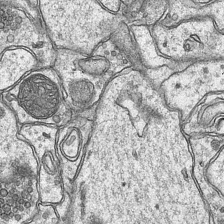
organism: Mouse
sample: CA1 Hippocampus